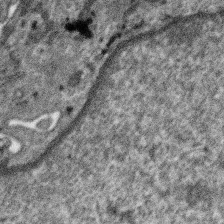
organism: Human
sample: Lung epithelial cells infected with SARS-CoV-2